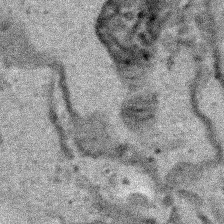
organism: Human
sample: Mitochondria in HCT116 cells